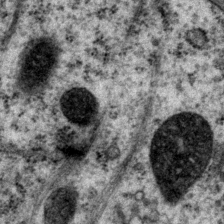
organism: P. pacificus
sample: Pharynx